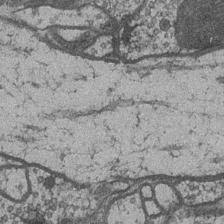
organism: Drosophila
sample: Optic medulla